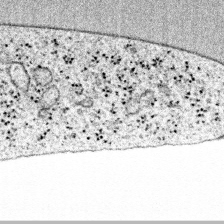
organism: Human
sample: HeLa cells